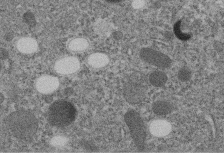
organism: C. elegans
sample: C. elegans embryo early stage